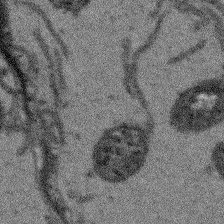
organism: Arabidopsis thaliana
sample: Root tip